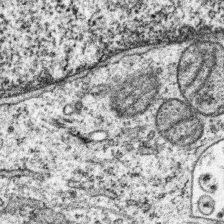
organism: Human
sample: HeLa cells